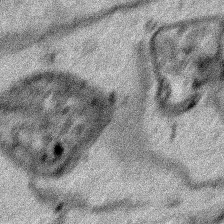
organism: Human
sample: Mitochondria in HCT116 cells